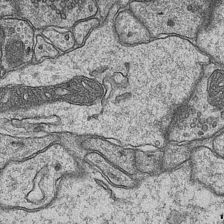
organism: Mouse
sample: CA1 Hippocampus